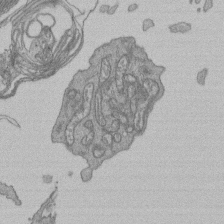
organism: Human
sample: Retinal organoid Rod and Cone cells